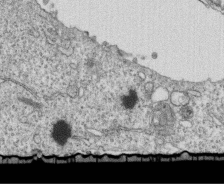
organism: Human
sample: HeLa cell HIV synapse